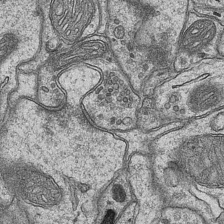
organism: Mouse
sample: CA1 Hippocampus